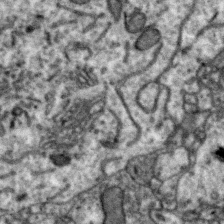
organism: Zebra finch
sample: Brain